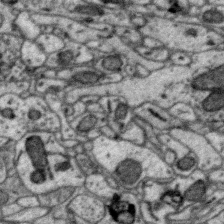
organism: Zebra finch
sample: Brain